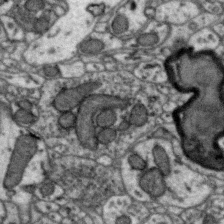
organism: Zebra finch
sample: Brain